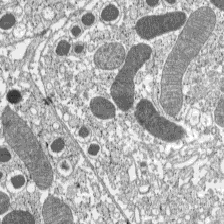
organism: C57BL Mouse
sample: Pancreatic islet